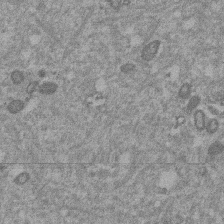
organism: Mouse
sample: Dividing mouse embryo 1 cell stage